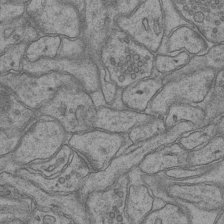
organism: Mouse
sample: CA1 Hippocampus